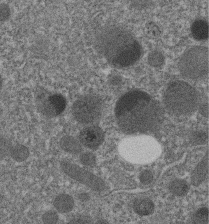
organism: C. elegans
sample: C. elegans embryo early stage